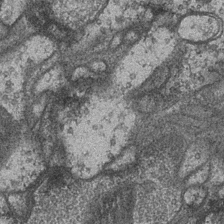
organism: Drosophila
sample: Optic medulla